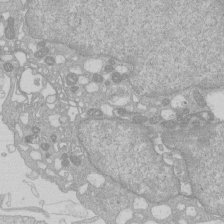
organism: Human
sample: Macrophage cells